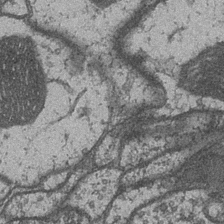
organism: Drosophila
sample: Optic medulla